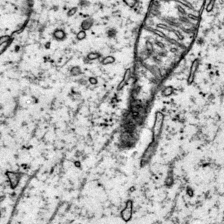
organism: Mouse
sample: Primary visual cortex